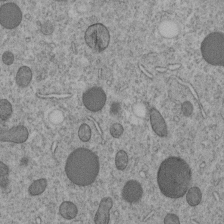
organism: C. elegans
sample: C. elegans embryo early stage